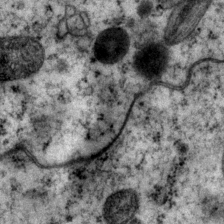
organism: P. pacificus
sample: Pharynx